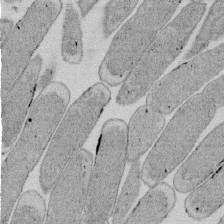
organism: E. coli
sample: Bacterial nucleoid